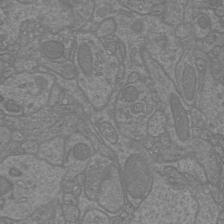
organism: Mouse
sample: Cortical neurons